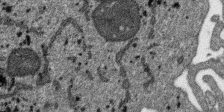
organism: Human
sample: Lung epithelial cells infected with SARS-CoV-2